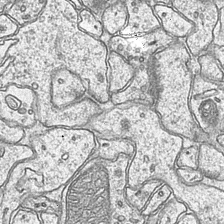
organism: Mouse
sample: CA1 Hippocampus